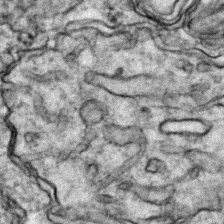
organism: Zebrafish